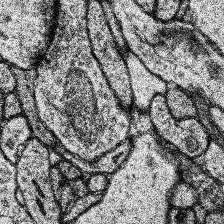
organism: Human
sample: Temporal Lobe